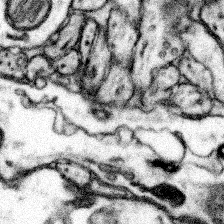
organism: Mouse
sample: Somatosensory cortex neuropil